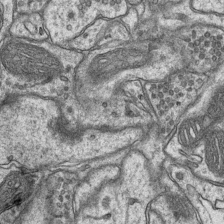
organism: Mouse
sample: CA1 Hippocampus